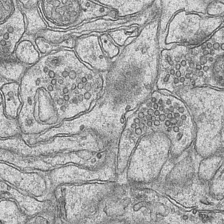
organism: Mouse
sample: CA1 Hippocampus